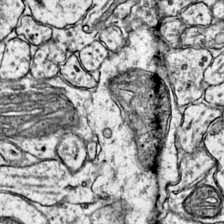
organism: Mouse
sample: Primary visual cortex